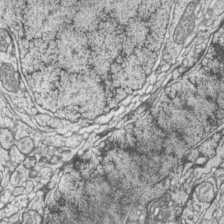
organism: Zebrafish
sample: synaptic ribbons in rod cells and cone cells